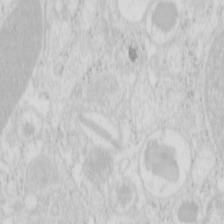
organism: Mouse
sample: Pancreas